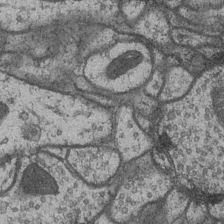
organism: Drosophila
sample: Optic medulla